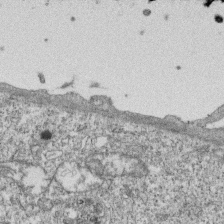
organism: Human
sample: HeLa cell HIV synapse